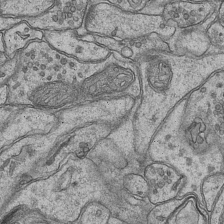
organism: Mouse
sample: CA1 Hippocampus